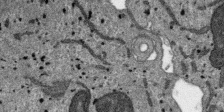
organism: Human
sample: Lung epithelial cells, uninfected (mock) control